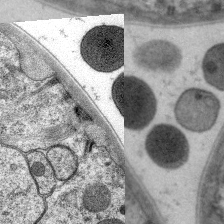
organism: C. elegans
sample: Pharynx